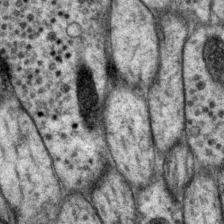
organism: P. pacificus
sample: Pharynx